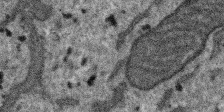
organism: Human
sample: Lung epithelial cells infected with SARS-CoV-2